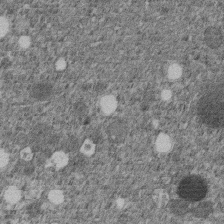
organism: C. elegans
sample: C. elegans embryo early stage